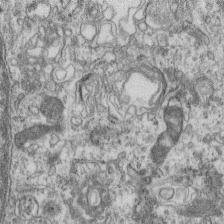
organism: Mouse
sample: Centriole in ependymal cells